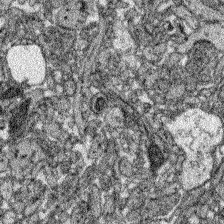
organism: Zebrafish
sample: Larval olfactory bulb